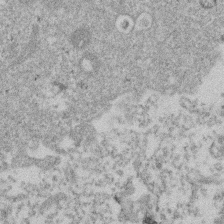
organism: Mouse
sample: Dividing mouse embryo 1 cell stage